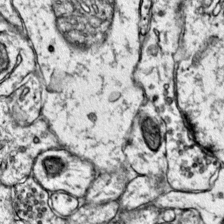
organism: Mouse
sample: Primary visual cortex